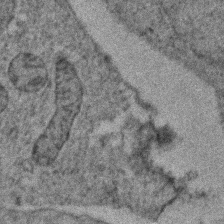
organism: Zebrafish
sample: Zebrafish embryo